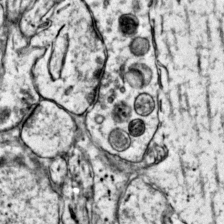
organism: Mouse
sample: Primary visual cortex